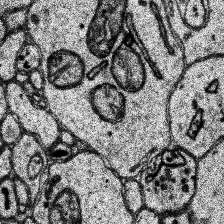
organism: Human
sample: Temporal Lobe